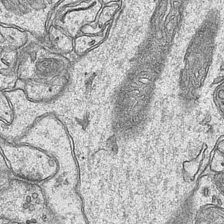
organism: Mouse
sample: CA1 Hippocampus